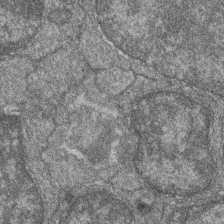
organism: Zebrafish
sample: Cilia; retinal pigment epithelium